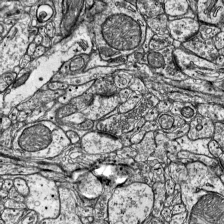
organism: Mouse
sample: Visual Cortex